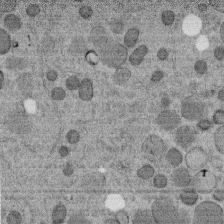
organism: C. elegans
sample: C. elegans embryo early stage